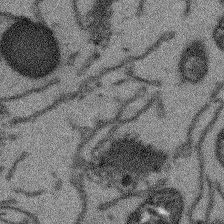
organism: Arabidopsis thaliana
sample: Root tip